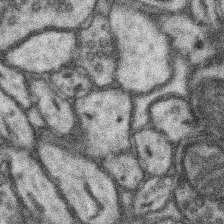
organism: Mouse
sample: Somatosensory cortex neuropil